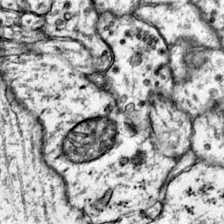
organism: Mouse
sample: Primary visual cortex